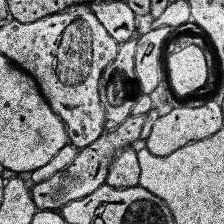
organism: Human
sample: Temporal Lobe